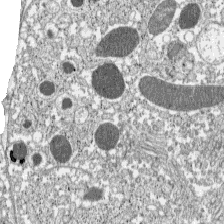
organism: C57BL Mouse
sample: Pancreatic islet